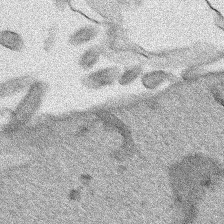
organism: Human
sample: Mitochondria in HCT116 cells